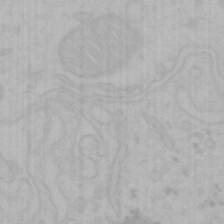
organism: Mouse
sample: Choroid plexus